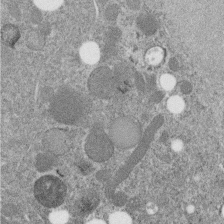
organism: C. elegans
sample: C. elegans embryo early stage